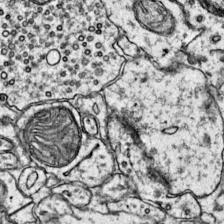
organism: Mouse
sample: Primary visual cortex